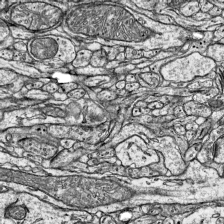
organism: Mouse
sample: Visual Cortex